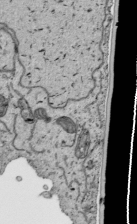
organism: Human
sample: Mitochondria in HCT116 cells